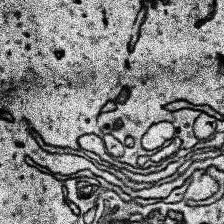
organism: Human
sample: Temporal Lobe